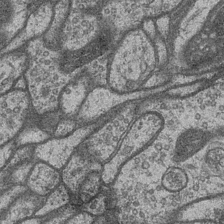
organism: Drosophila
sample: Optic medulla